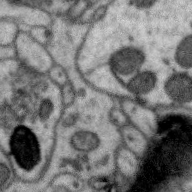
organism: Zebra finch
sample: Brain